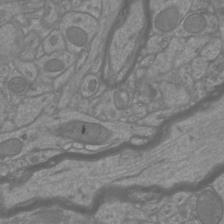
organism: Mouse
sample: Cortical neurons